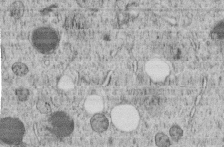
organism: C. elegans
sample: C. elegans embryo early stage